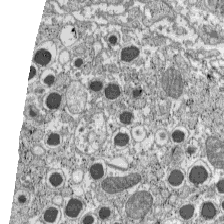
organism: C57BL Mouse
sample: Pancreatic islet